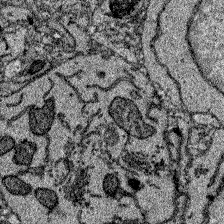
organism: Zebrafish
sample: Larval olfactory bulb